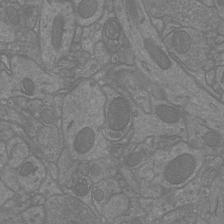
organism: Mouse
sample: Cortical neurons